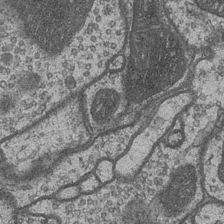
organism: Drosophila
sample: Optic medulla